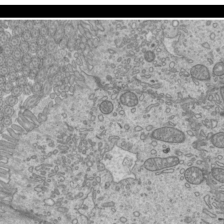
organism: Mouse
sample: Cilia; mouse epididymis